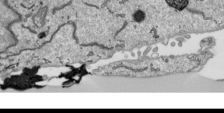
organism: Human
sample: Mitochondria in HCT116 cells